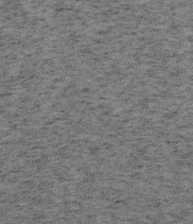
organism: Mouse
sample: OT-I killer T cells with ID8 ovarian cancer cells